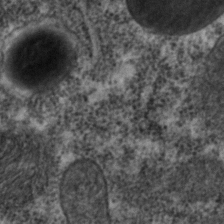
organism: C. elegans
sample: C. elegans embryo